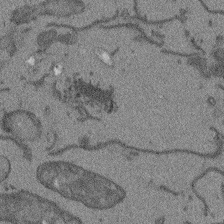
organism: Arabidopsis thaliana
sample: Root tip